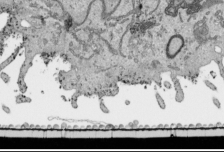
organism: Human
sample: Mitochondria in HCT116 cells